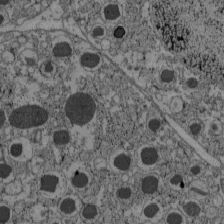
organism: C57BL Mouse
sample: Pancreatic islet